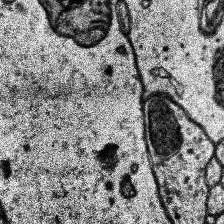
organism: Human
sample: Temporal Lobe